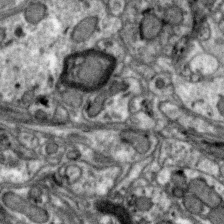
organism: Zebra finch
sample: Brain